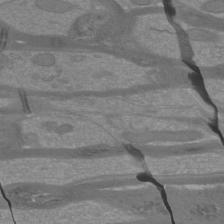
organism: Mouse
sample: Cortical neurons